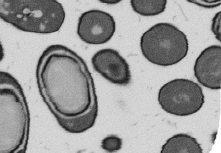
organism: B. subtilis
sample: Bacterial spore